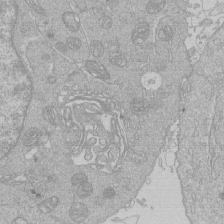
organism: Human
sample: Macrophage cells